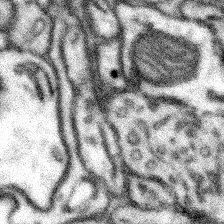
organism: Mouse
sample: Somatosensory cortex neuropil